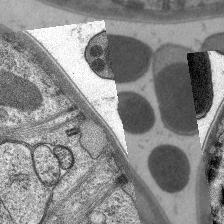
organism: C. elegans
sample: Pharynx